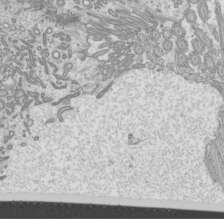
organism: Mouse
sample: Cilia; mouse epididymis